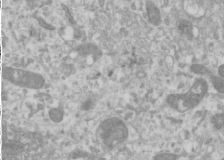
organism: Human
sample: Cilia; basal body in RPE cells